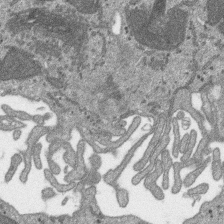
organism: Human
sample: Lung epithelial cells infected with SARS-CoV-2